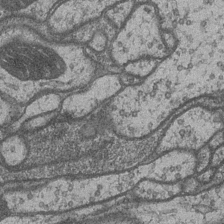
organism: Drosophila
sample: Optic medulla